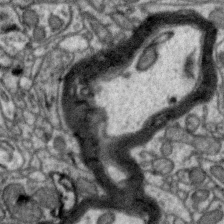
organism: Zebra finch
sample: Brain